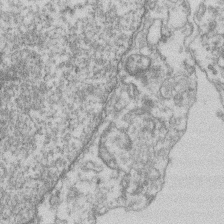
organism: Mouse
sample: T cell stromal cell synapse